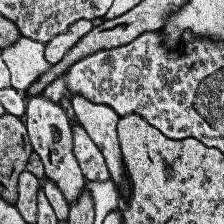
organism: Human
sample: Temporal Lobe